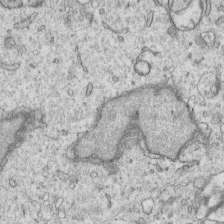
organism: Human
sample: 1205lu cells